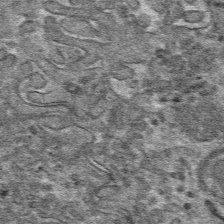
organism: Mouse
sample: Mouse hepatocytes